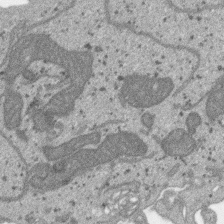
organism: Human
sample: Lung epithelial cells infected with SARS-CoV-2